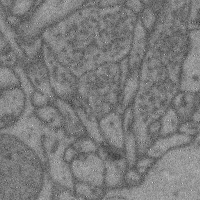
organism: Mouse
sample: Cerebral cortex